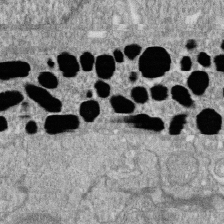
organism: Zebrafish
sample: Cilia; retinal pigment epithelium